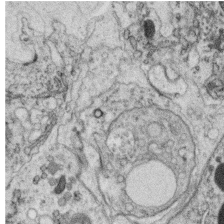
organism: C. elegans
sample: C. elegans oocyte; sperm cells